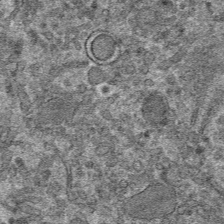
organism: Mouse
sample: Mouse hepatocytes